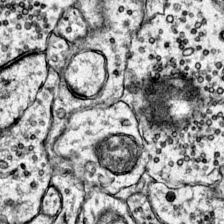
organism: Mouse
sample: Primary visual cortex